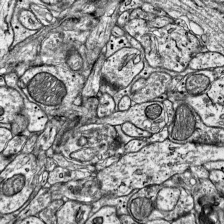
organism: Mouse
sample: Visual Cortex